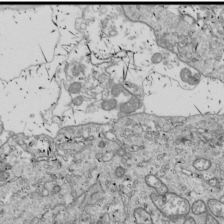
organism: Drosophila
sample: Cell division; meiosis; drosophila spermatocytes